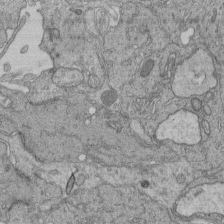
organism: Human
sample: Retinal organoid Rod and Cone cells